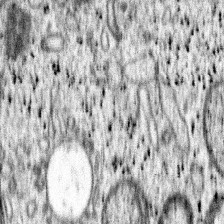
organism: Human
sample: HeLa cells